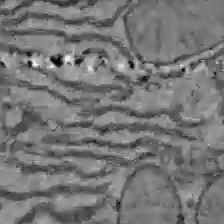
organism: C57BL Mouse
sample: Liver